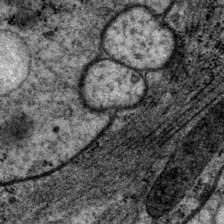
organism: P. pacificus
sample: Pharynx